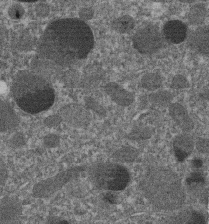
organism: C. elegans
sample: C. elegans embryo early stage